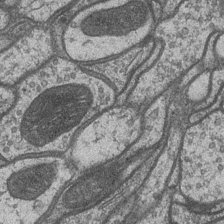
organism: Drosophila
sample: Optic medulla